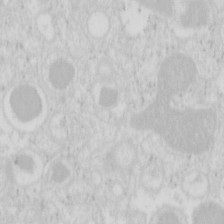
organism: Mouse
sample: Pancreas